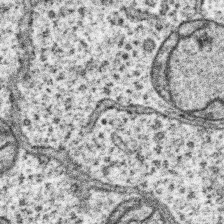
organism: Human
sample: HeLa cells